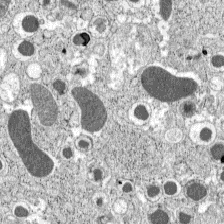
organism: C57BL Mouse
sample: Pancreatic islet